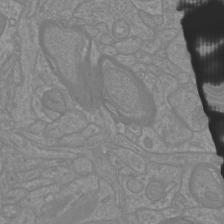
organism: Mouse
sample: Cortical neurons